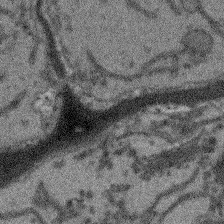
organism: Arabidopsis thaliana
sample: Root tip